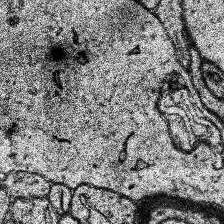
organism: Human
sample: Temporal Lobe